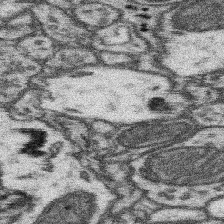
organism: Mouse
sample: Somatosensory cortex neuropil